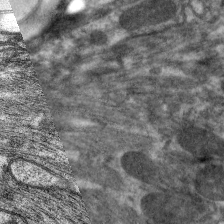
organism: C. elegans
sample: Pharynx